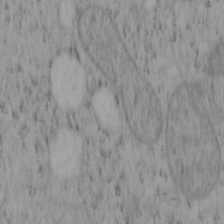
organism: Mouse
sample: OT-I killer T cells with ID8 ovarian cancer cells